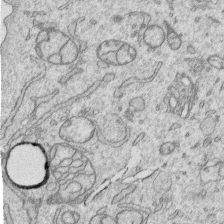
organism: Human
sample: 1205lu cells